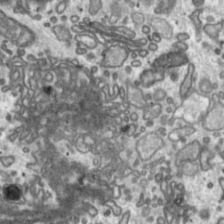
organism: Toxoplasma gondii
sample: Parasites in a vacuole inside a host cell